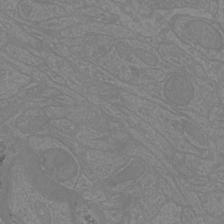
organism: Mouse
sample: Cortical neurons